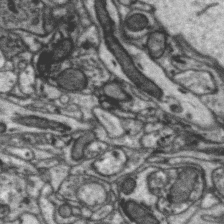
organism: Zebra finch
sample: Brain